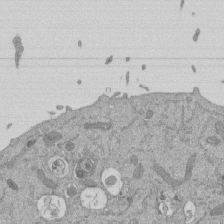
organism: Mouse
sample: ED-1 cell nuclei; centrioles